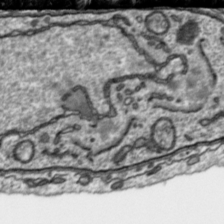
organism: Toxoplasma gondii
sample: Parasites in a vacuole inside a host cell